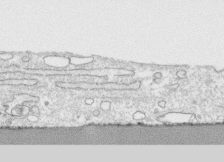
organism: Human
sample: CRL-1474